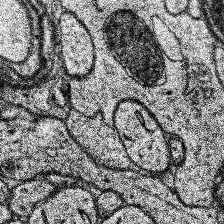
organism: Human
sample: Temporal Lobe